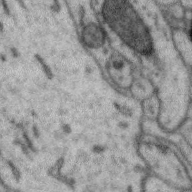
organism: Zebra finch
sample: Brain